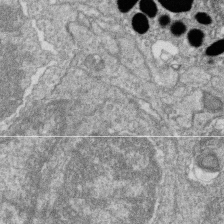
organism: Zebrafish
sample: Cilia; retinal pigment epithelium